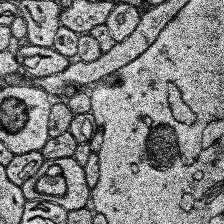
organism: Human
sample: Temporal Lobe